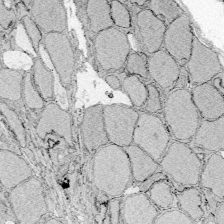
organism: Zebrafish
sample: Whole-Brain